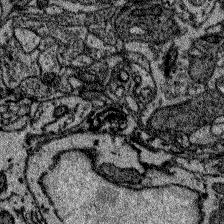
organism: Zebrafish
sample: Larval olfactory bulb